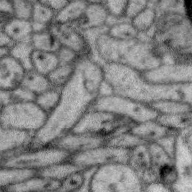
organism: Zebra finch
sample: Brain